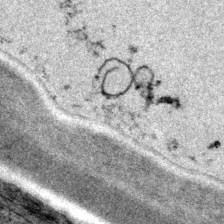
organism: P. pacificus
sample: Pharynx